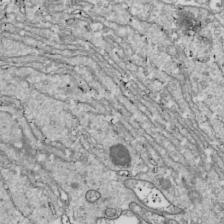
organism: Drosophila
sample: Cell division; meiosis; drosophila spermatocytes